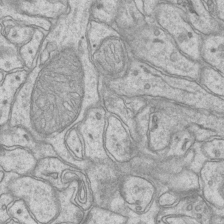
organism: Mouse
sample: CA1 Hippocampus